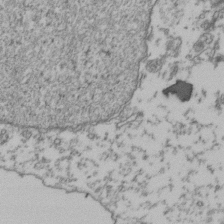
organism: Human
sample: Activated Jurkat CD4+ T cells